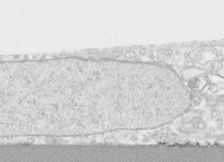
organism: Human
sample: CRL-1474